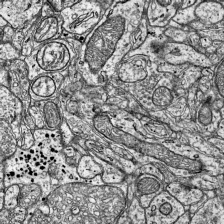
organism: Mouse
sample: Visual Cortex